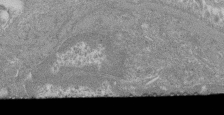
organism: Mouse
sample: Glomerulus